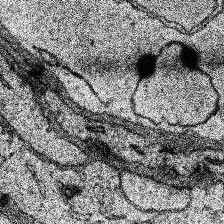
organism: Human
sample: Temporal Lobe